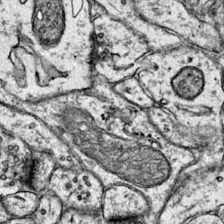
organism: Mouse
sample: Primary visual cortex